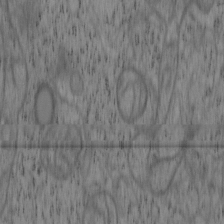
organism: Human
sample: HeLa cells